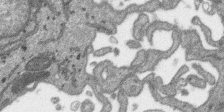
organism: Human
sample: Lung epithelial cells infected with SARS-CoV-2